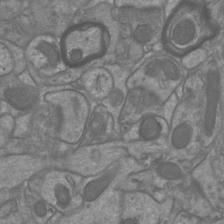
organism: Mouse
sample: Cortical neurons